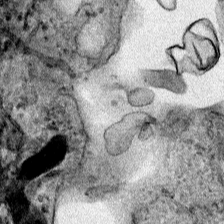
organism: Human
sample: Mitochondria in HCT116 cells